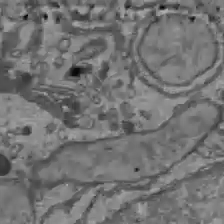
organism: C57BL Mouse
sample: Liver